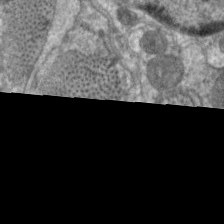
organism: C. elegans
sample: Pharynx